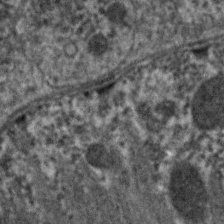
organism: C. elegans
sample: Pharynx